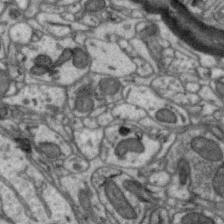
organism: Zebra finch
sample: Brain